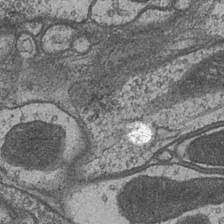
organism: Drosophila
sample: Optic medulla